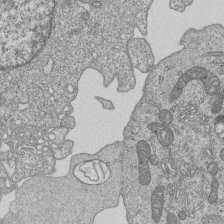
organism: Human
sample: MDA-MB-231 cells